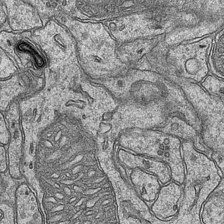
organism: Mouse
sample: CA1 Hippocampus